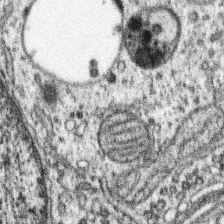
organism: Human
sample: HeLa cells